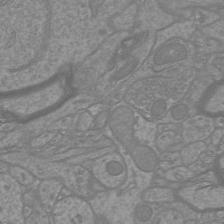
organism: Mouse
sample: Cortical neurons